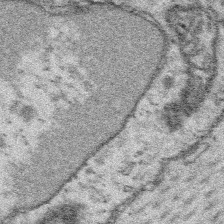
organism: Platynereis dumerilii